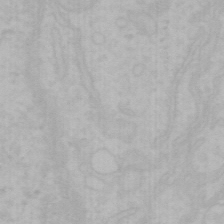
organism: Mouse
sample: Choroid plexus